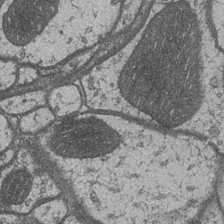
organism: Drosophila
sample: Optic medulla